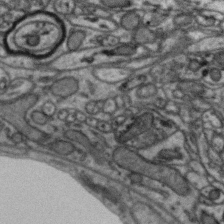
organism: Zebra finch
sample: Brain